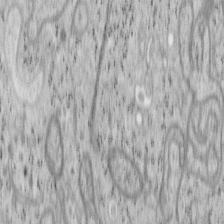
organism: Human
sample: HeLa cells